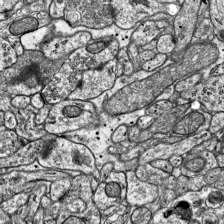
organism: Mouse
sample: Visual Cortex